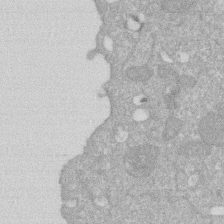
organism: Human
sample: HIV infected U937 cells